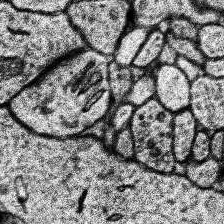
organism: Human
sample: Temporal Lobe